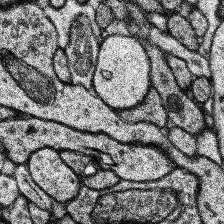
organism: Human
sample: Temporal Lobe